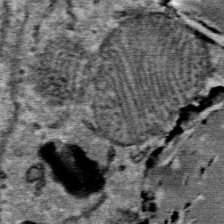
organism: Mouse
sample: Mouse Salivary gland